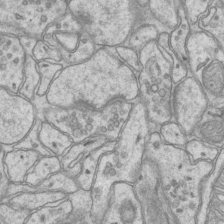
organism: Mouse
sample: CA1 Hippocampus